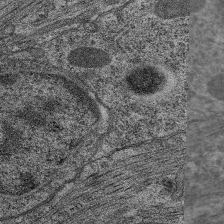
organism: C. elegans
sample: Pharynx